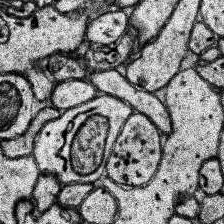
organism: Human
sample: Temporal Lobe